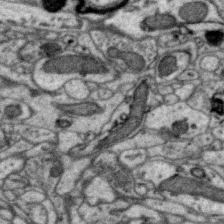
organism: Zebra finch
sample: Brain